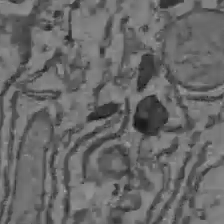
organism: C57BL Mouse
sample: Liver